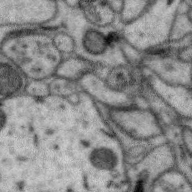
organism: Zebra finch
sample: Brain